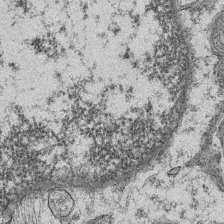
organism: Mouse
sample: CA1 Hippocampus